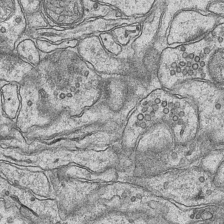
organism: Mouse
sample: CA1 Hippocampus